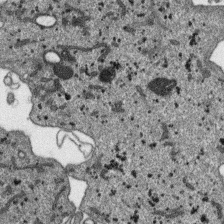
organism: Human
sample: Lung epithelial cells infected with SARS-CoV-2